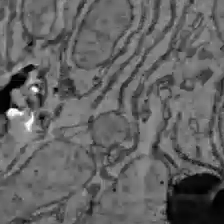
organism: C57BL Mouse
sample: Liver